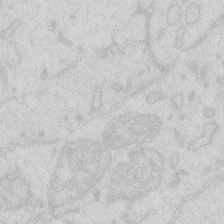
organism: Zebrafish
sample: Macrophage